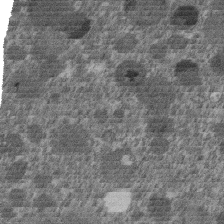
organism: C. elegans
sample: C. elegans embryo early stage